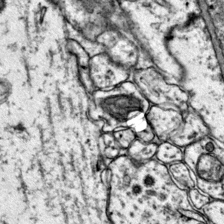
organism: Mouse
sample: Primary visual cortex